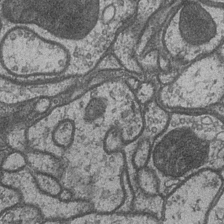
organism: Drosophila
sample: Optic medulla